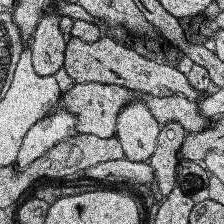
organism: Human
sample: Temporal Lobe